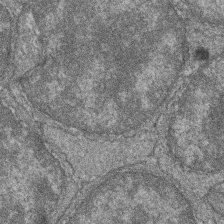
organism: Zebrafish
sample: Cilia; retinal pigment epithelium